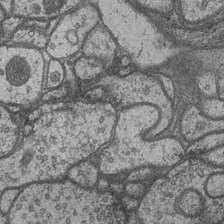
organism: Drosophila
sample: Optic medulla